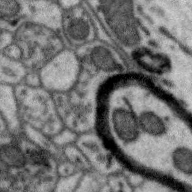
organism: Zebra finch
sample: Brain